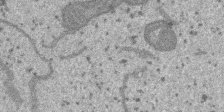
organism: Human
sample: Lung epithelial cells infected with SARS-CoV-2